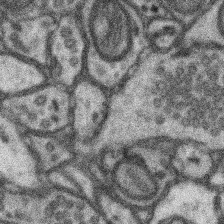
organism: Mouse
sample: Somatosensory cortex neuropil